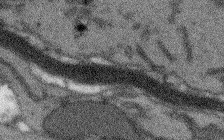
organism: Arabidopsis thaliana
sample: Root tip